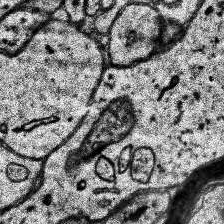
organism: Human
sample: Temporal Lobe